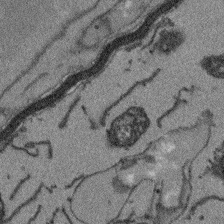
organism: Arabidopsis thaliana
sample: Root tip